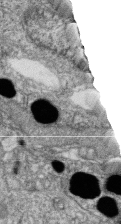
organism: Zebrafish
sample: Cilia; retinal pigment epithelium